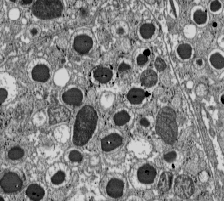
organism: C57BL Mouse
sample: Pancreatic islet